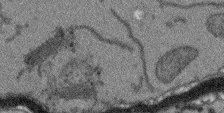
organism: Arabidopsis thaliana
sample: Root tip